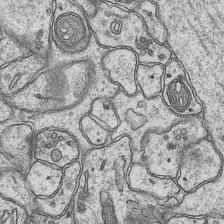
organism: Mouse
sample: CA1 Hippocampus